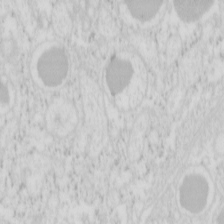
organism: Mouse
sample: Pancreas